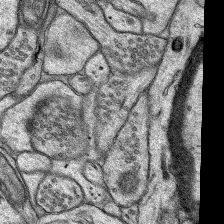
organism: Rat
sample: Hippocampus